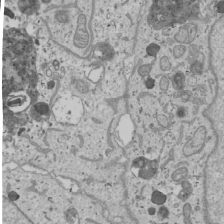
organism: Human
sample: Mitochondria in U2OS cells